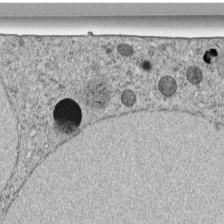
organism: C. elegans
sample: C. elegans embryo early stage